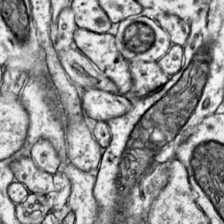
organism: Mouse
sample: Primary visual cortex